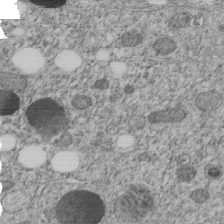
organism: C. elegans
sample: C. elegans embryo early stage